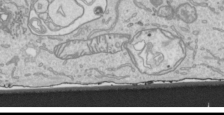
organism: Human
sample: Mitochondria in HCT116 cells